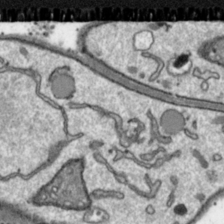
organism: Toxoplasma gondii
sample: Parasites in a vacuole inside a host cell